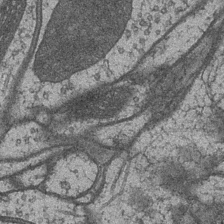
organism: Drosophila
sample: Optic medulla